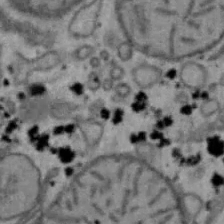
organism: Mouse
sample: Liver